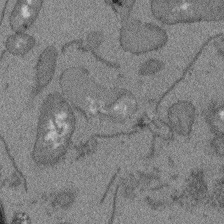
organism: Arabidopsis thaliana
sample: Root tip